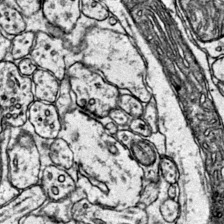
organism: Mouse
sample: Primary visual cortex